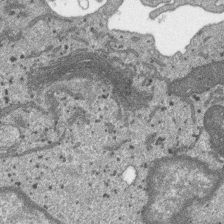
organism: Human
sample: Lung epithelial cells infected with SARS-CoV-2